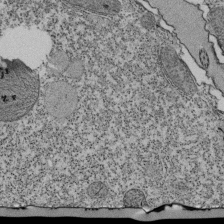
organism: Tetrahymena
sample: Cilia in tetrahymena